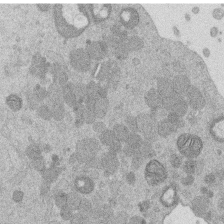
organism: Mouse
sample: Dividing mouse embryo 1 cell stage